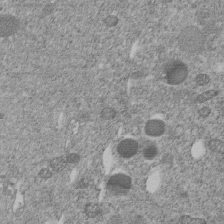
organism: C. elegans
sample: C. elegans embryo early stage